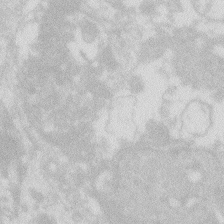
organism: Zebrafish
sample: Macrophage